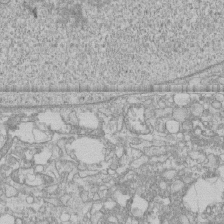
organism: Human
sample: CRL-1474